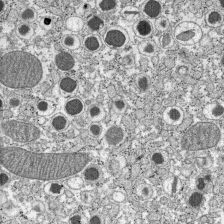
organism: C57BL Mouse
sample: Pancreatic islet